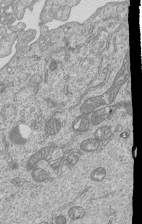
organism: Human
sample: MDA-MB-231 cells